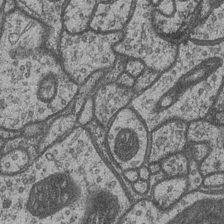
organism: Drosophila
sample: Optic medulla